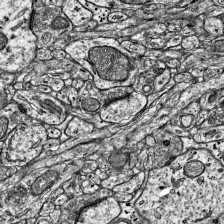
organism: Mouse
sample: Visual Cortex